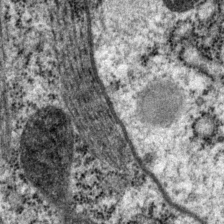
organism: P. pacificus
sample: Pharynx